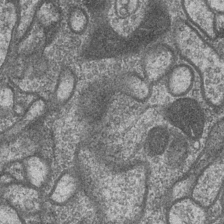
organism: Drosophila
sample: Optic medulla